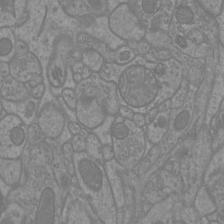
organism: Mouse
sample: Cortical neurons